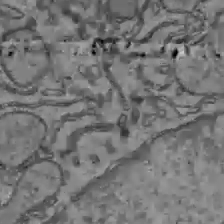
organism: C57BL Mouse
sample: Liver